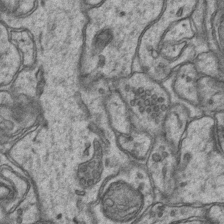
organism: Mouse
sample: CA1 Hippocampus